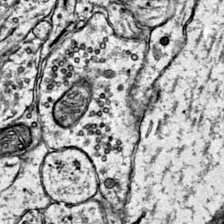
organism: Mouse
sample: Primary visual cortex